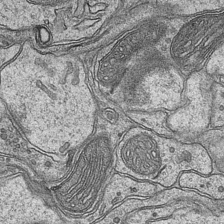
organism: Mouse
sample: CA1 Hippocampus